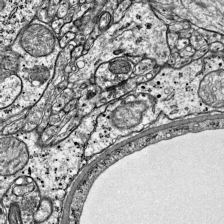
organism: Mouse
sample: Visual Cortex